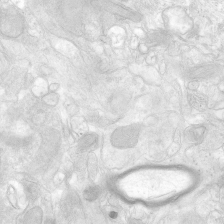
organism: Human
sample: Neocortex